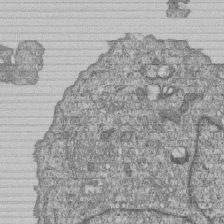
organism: Human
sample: MDA-MB-231 cells